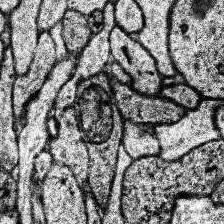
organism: Human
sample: Temporal Lobe